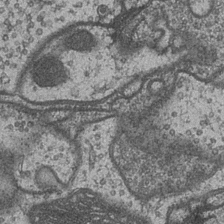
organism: Drosophila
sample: Optic medulla